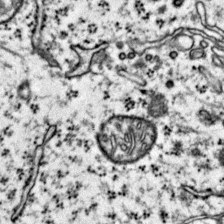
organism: Mouse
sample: Primary visual cortex